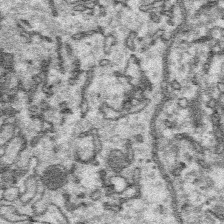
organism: Platynereis dumerilii